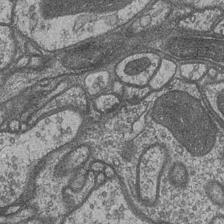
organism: Drosophila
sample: Optic medulla